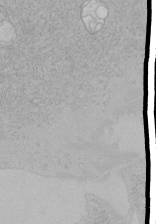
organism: Human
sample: Mitochondria in HCT116 cells